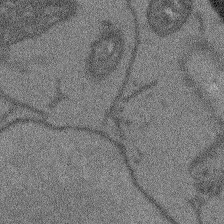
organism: Arabidopsis thaliana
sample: Root tip